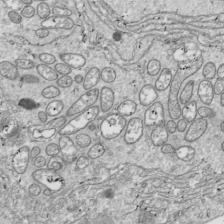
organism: Drosophila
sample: Cell division; meiosis; drosophila spermatocytes